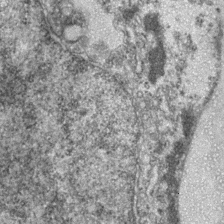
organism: Zebrafish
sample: Zebrafish embryo